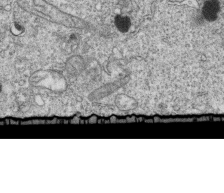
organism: Human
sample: HeLa cell HIV synapse